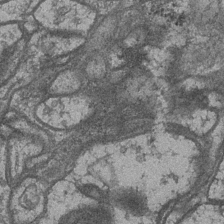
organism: Drosophila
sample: Optic medulla